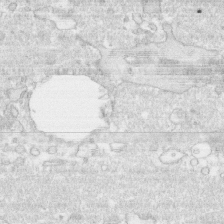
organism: Human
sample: CRL-1474